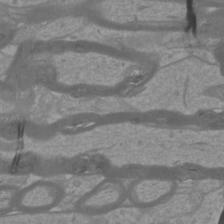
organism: Mouse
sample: Cortical neurons